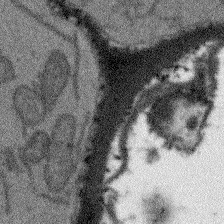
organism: Arabidopsis thaliana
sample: Root tip